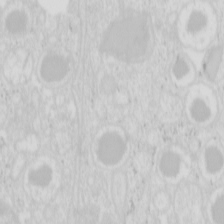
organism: Mouse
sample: Pancreas